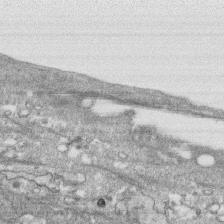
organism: Human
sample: CRL-1474